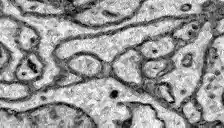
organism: Zebrafish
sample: Brain